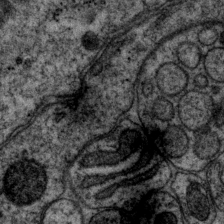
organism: P. pacificus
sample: Pharynx